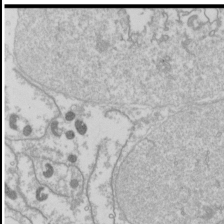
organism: Drosophila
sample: Cell division; meiosis; drosophila spermatocytes